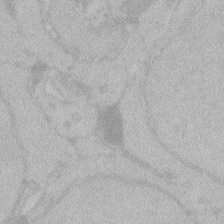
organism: Zebrafish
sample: Macrophage infected with Toxoplasma gondii